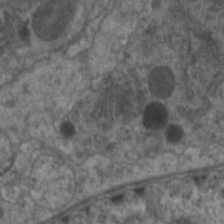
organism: C. elegans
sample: Pharynx